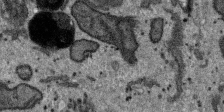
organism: Human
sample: Lung epithelial cells, uninfected (mock) control